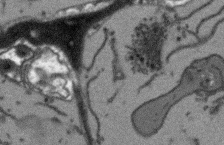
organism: Arabidopsis thaliana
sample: Root tip